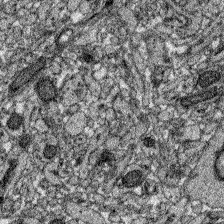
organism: Zebrafish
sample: Larval olfactory bulb